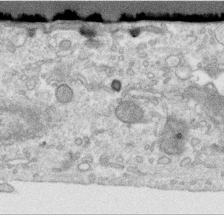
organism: Human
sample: Centriole in RPE cells